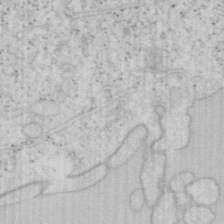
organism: Human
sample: HeLa cells